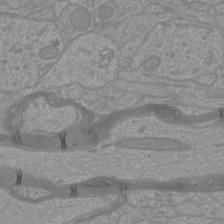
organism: Mouse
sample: Cortical neurons